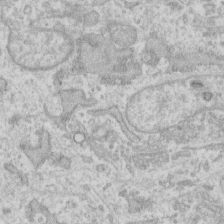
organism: Human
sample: Fibroblast cells